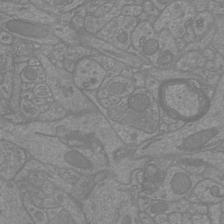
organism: Mouse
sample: Cortical neurons